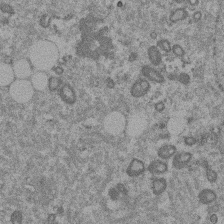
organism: Mouse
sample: Dividing mouse embryo 1 cell stage